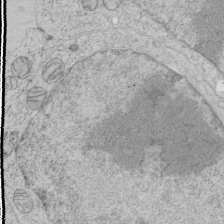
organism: Human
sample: Mitochondria in HCT116 cells